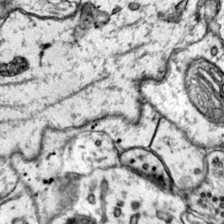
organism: Mouse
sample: Primary visual cortex